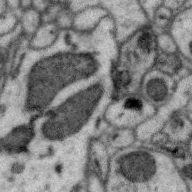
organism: Zebra finch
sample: Brain